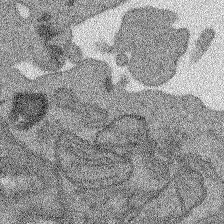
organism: Human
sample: HeLa cells